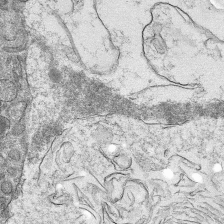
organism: Mouse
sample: Mouse hepatocytes